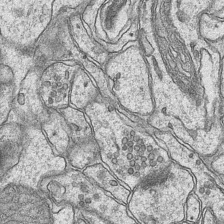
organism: Mouse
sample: CA1 Hippocampus